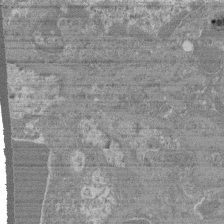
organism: Mouse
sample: Glomerulus